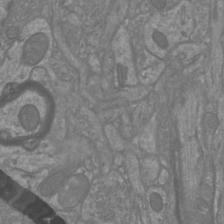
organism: Mouse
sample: Cortical neurons